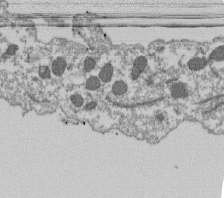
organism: Dictyostelium discoideum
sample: Dictyostelium multivesicular bodies